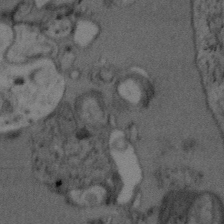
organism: Human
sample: HeLa cells